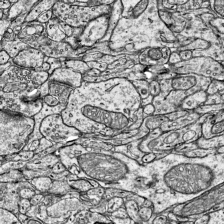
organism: Mouse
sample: Visual Cortex